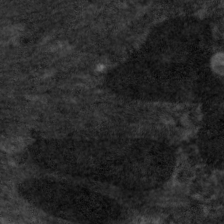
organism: C. elegans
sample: Pharynx